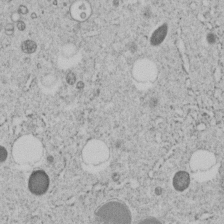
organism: C. elegans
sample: C. elegans embryo early stage